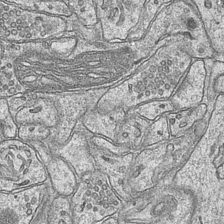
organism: Mouse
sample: CA1 Hippocampus